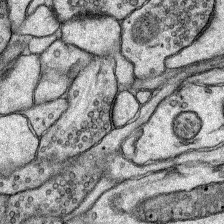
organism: Rat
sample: Hippocampus